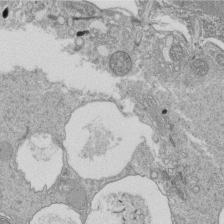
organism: Tetrahymena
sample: Cilia in tetrahymena